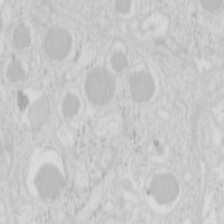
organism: Mouse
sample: Pancreas